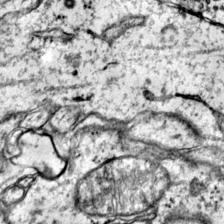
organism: Mouse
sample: Primary visual cortex